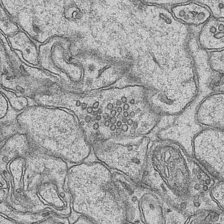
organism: Mouse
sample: CA1 Hippocampus